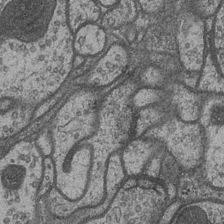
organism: Drosophila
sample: Optic medulla